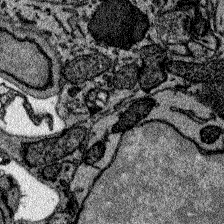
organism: Zebrafish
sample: Larval olfactory bulb